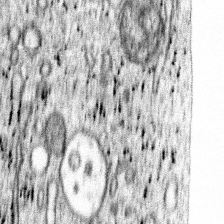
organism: Human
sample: HeLa cells